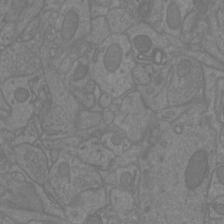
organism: Mouse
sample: Cortical neurons